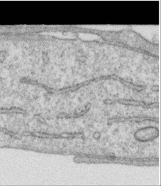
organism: Human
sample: Centriole in RPE cells